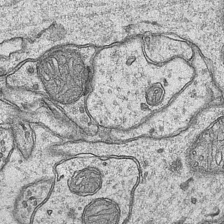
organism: Mouse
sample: CA1 Hippocampus